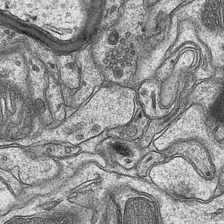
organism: Mouse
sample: CA1 Hippocampus